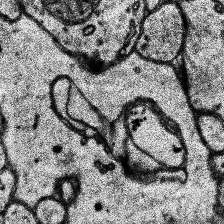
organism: Human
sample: Temporal Lobe